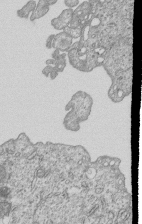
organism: Human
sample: MDA-MB-231 cells